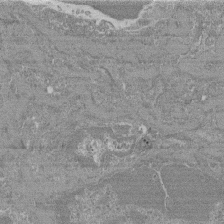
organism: Mouse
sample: Glomerulus